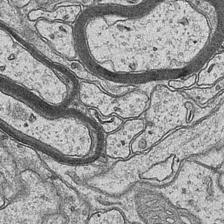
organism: Mouse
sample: CA1 Hippocampus